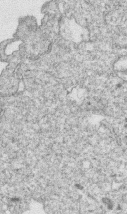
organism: Human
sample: HeLa cell HIV synapse